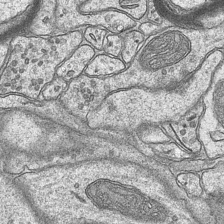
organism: Mouse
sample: CA1 Hippocampus